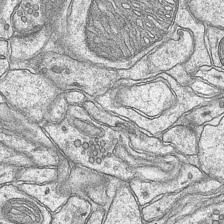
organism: Mouse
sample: CA1 Hippocampus